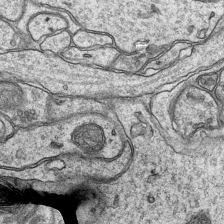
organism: Mouse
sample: CA1 Hippocampus